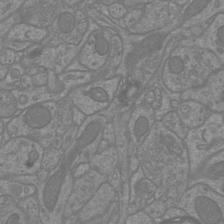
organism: Mouse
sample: Cortical neurons